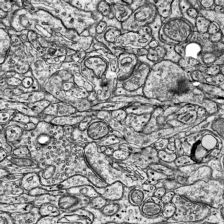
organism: Mouse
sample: Visual Cortex